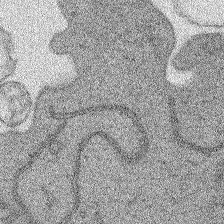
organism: Human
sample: HeLa cells